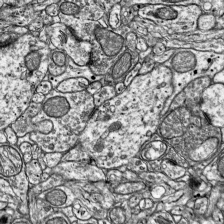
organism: Mouse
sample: Visual Cortex